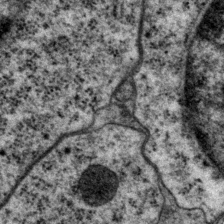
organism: P. pacificus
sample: Pharynx